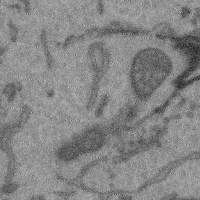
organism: Mouse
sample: Cerebral cortex